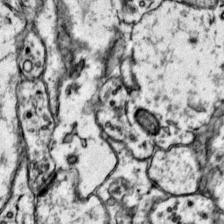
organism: Mouse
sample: Primary visual cortex